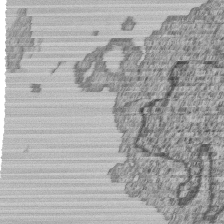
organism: Human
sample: MDA-MB-231 cells